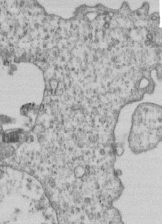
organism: Human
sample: MDA-MB-231 cells